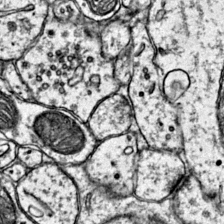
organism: Mouse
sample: Primary visual cortex